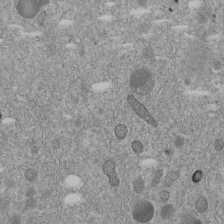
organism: C. elegans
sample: C. elegans embryo early stage